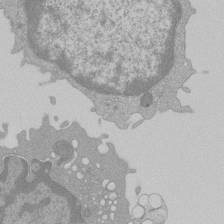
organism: Mouse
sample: Activated Pmel transgenic CD8+ T Cells